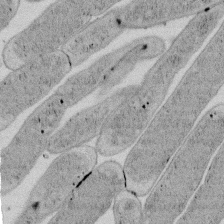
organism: E. coli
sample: Bacterial nucleoid